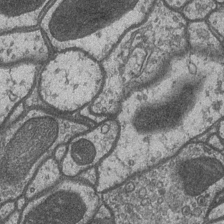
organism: Drosophila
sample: Optic medulla